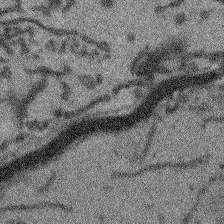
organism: Arabidopsis thaliana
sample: Root tip